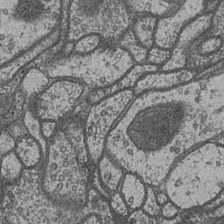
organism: Drosophila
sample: Optic medulla